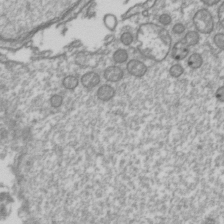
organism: Drosophila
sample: Cell division; meiosis; drosophila spermatocytes